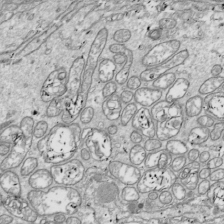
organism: Drosophila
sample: Cell division; meiosis; drosophila spermatocytes